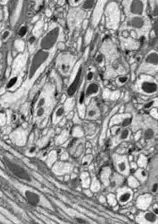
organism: Drosophila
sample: Optic lobe